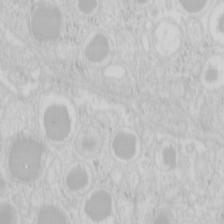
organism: Mouse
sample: Pancreas